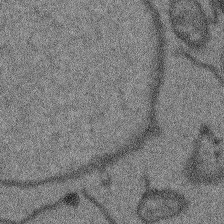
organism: Arabidopsis thaliana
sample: Root tip